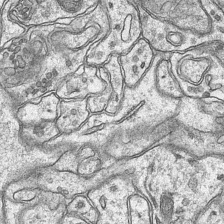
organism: Mouse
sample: CA1 Hippocampus